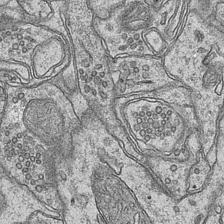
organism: Mouse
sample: CA1 Hippocampus